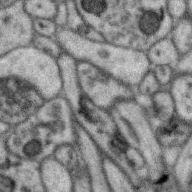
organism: Zebra finch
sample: Brain